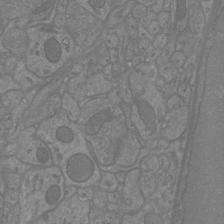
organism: Mouse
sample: Cortical neurons